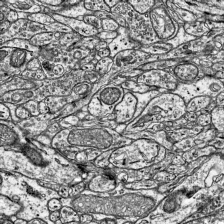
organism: Mouse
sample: Visual Cortex